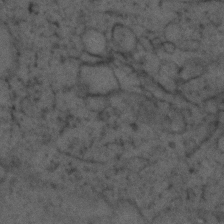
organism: Zebrafish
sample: Zebrafish embryo